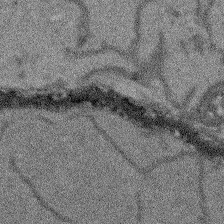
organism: Arabidopsis thaliana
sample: Root tip